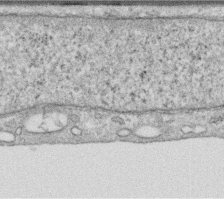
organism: Human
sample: Centriole in RPE cells